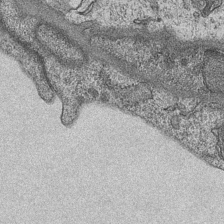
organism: Mouse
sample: CA1 Hippocampus